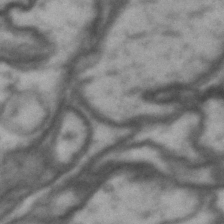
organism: Drosophila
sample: Brain